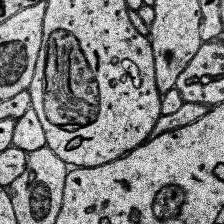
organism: Human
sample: Temporal Lobe